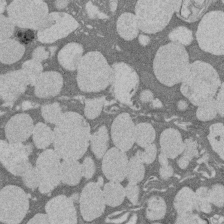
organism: Rat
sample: Salivary granule